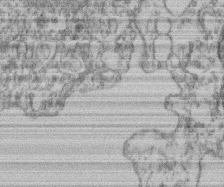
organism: Mouse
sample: T cell stromal cell synapse